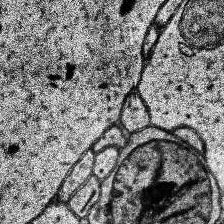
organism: Human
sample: Temporal Lobe